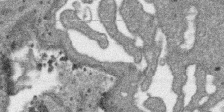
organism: Human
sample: Lung epithelial cells infected with SARS-CoV-2